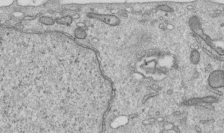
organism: Human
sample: Centriole in RPE cells